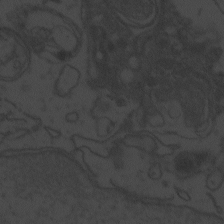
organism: Zebrafish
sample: Macrophage infected with Toxoplasma gondii